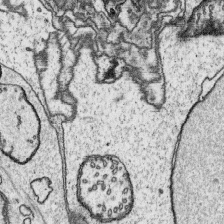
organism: Platynereis dumerilii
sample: Parapodia